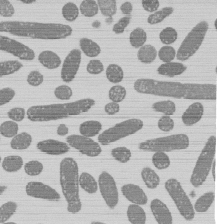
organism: E. coli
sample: Bacterial nucleoid